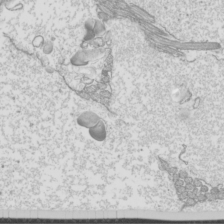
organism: Mouse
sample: Cilia; mouse epididymis